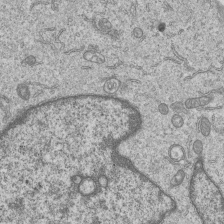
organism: Human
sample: MDA-MB-231 cells